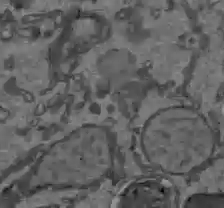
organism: C57BL Mouse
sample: Liver